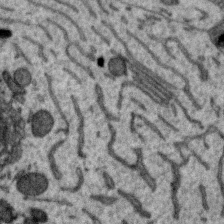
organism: Zebra finch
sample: Brain